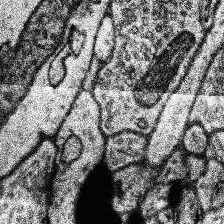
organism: Human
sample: Temporal Lobe